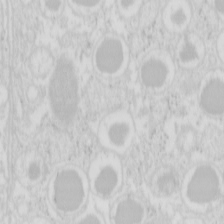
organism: Mouse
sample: Pancreas